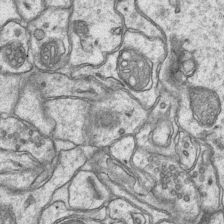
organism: Mouse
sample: CA1 Hippocampus